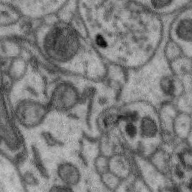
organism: Zebra finch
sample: Brain